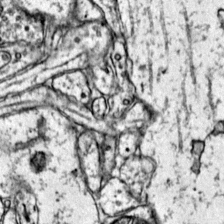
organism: Mouse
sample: Primary visual cortex